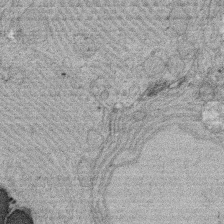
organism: Rat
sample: Salivary granule